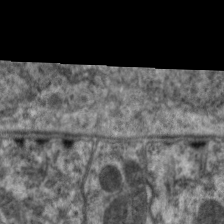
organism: C. elegans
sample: Pharynx